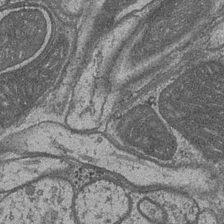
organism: Drosophila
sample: Optic medulla